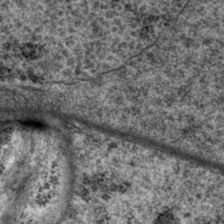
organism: P. pacificus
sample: Pharynx